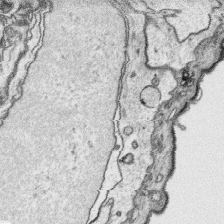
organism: Platynereis dumerilii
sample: Parapodia